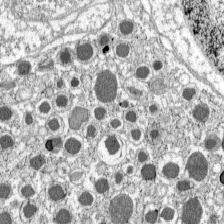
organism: C57BL Mouse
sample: Pancreatic islet